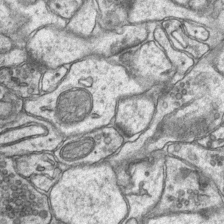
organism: Mouse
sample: CA1 Hippocampus